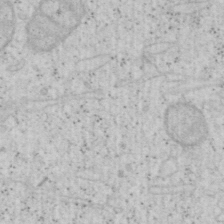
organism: Human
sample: HeLa cells